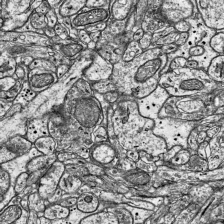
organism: Mouse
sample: Visual Cortex